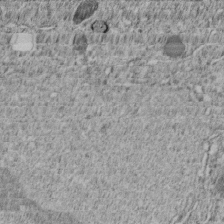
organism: C. elegans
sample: C. elegans embryo early stage